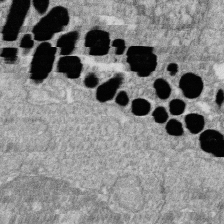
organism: Zebrafish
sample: Cilia; retinal pigment epithelium